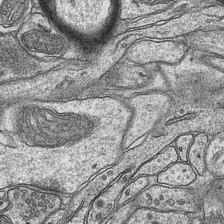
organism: Mouse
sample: CA1 Hippocampus